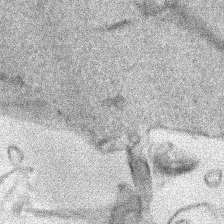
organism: Human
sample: Mitochondria in HCT116 cells